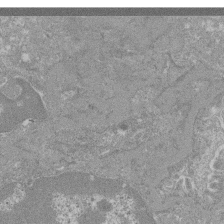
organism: Mouse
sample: Glomerulus